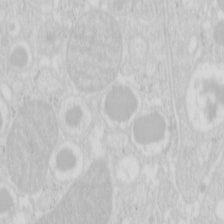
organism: Mouse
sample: Pancreas